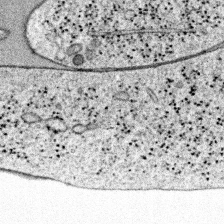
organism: Human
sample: HeLa cells